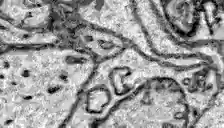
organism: Zebrafish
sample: Brain